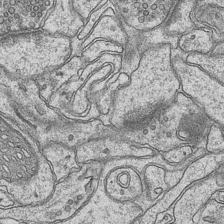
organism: Mouse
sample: CA1 Hippocampus